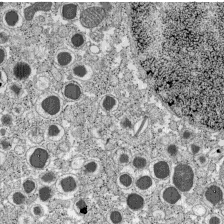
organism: C57BL Mouse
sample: Pancreatic islet